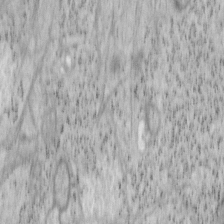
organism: Human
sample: HeLa cells